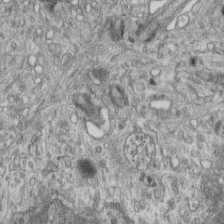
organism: Mouse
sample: Centriole in ependymal cells